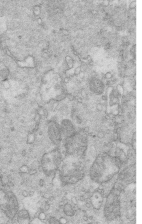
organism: Mouse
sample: Multiciliated cells